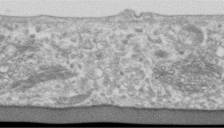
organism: Human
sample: Centriole in RPE cells